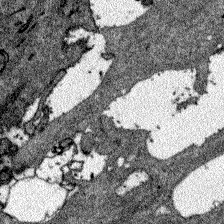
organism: Zebrafish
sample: Larval olfactory bulb